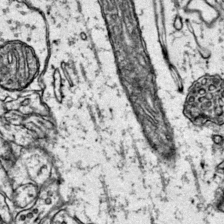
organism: Mouse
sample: Primary visual cortex